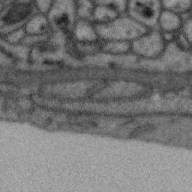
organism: Zebra finch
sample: Brain